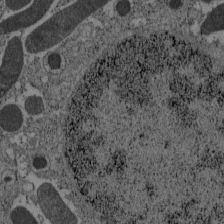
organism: C57BL Mouse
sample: Pancreatic islet